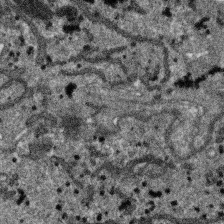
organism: Human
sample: Lung epithelial cells infected with SARS-CoV-2